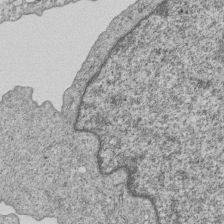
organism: Human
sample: MDA-MB-231 cells